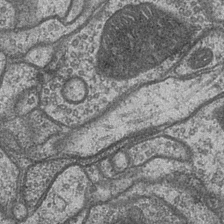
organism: Drosophila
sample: Optic medulla